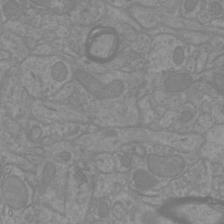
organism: Mouse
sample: Cortical neurons